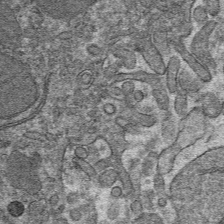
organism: Mouse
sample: Mouse hepatocytes